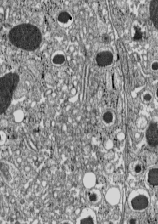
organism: C57BL Mouse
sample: Pancreatic islet